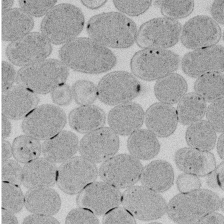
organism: E. coli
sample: Bacterial nucleoid